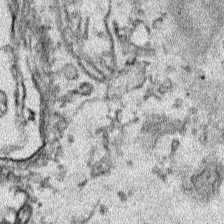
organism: Human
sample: Mitochondria in HCT116 cells